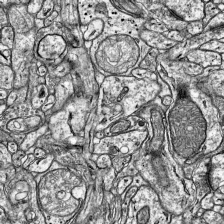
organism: Mouse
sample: Visual Cortex